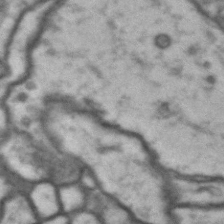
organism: Drosophila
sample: Brain